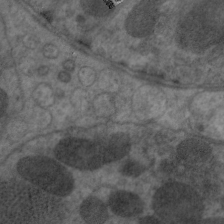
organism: C. elegans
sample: Pharynx